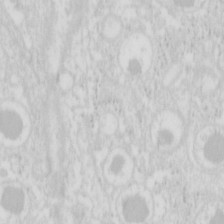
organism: Mouse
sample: Pancreas